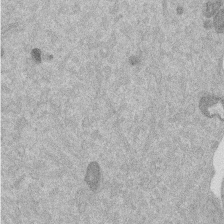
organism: Mouse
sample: Dividing mouse embryo 1 cell stage